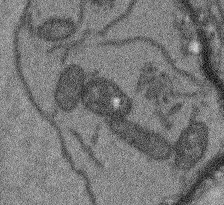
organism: Arabidopsis thaliana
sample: Root tip